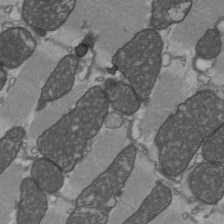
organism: C57BL Mouse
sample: Heart